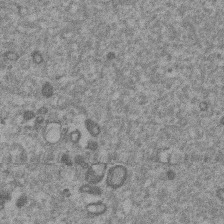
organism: Mouse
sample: Dividing mouse embryo 1 cell stage